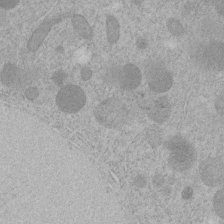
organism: C. elegans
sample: C. elegans embryo early stage